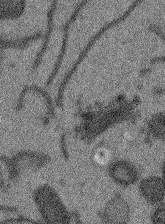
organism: Arabidopsis thaliana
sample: Root tip